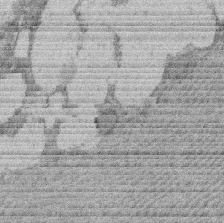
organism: Rat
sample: Salivary granule